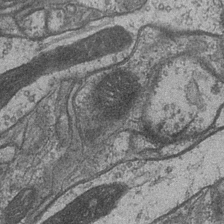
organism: Drosophila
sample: Optic medulla